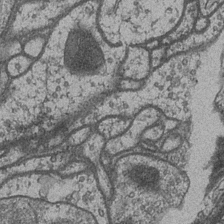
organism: Drosophila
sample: Optic medulla